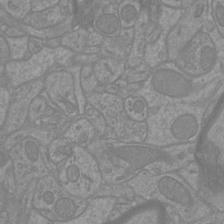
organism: Mouse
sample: Cortical neurons